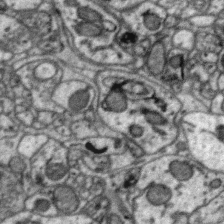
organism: Zebra finch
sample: Brain